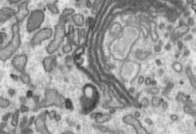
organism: Toxoplasma gondii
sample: Parasites in a vacuole inside a host cell